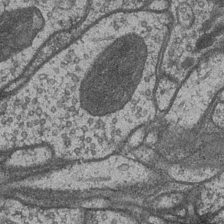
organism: Drosophila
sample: Optic medulla